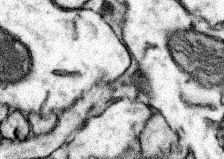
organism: Mouse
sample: Somatosensory cortex neuropil